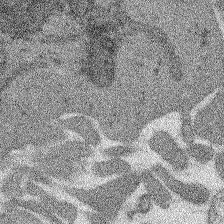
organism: Human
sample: HeLa cells